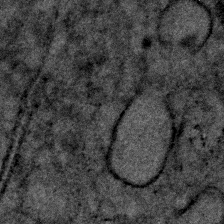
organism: Human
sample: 1205lu cells